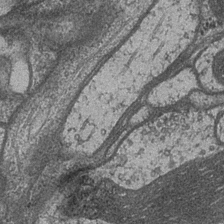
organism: Drosophila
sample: Optic medulla